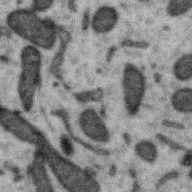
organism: Zebra finch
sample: Brain